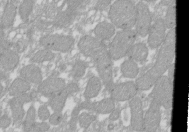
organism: Xenopus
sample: Cilia; centrioles in frog embryo cells